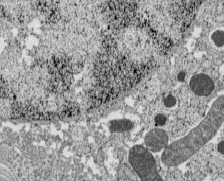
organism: C57BL Mouse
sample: Pancreatic islet